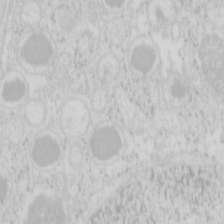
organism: Mouse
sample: Pancreas